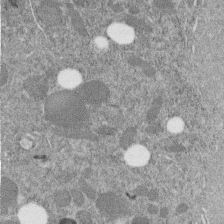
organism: C. elegans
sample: C. elegans embryo early stage